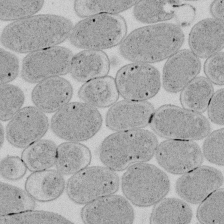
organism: E. coli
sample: Bacterial nucleoid